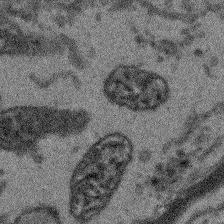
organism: Arabidopsis thaliana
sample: Root tip